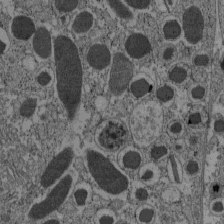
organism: C57BL Mouse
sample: Pancreatic islet